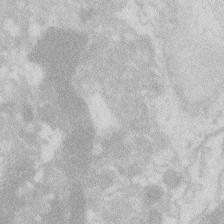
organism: Zebrafish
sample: Macrophage